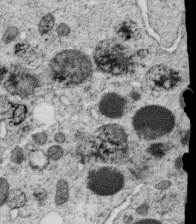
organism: C. elegans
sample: C. elegans oocyte; sperm cells